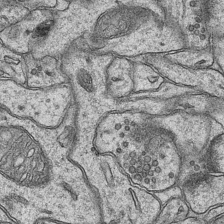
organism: Mouse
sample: CA1 Hippocampus